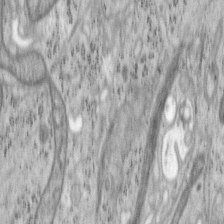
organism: Human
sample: HeLa cells